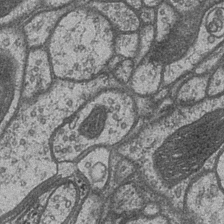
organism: Drosophila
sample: Optic medulla